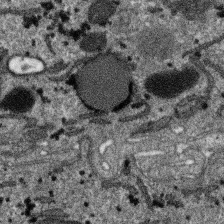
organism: Human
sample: Lung epithelial cells infected with SARS-CoV-2